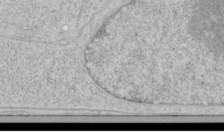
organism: Human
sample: Mitochondria in HCT116 cells